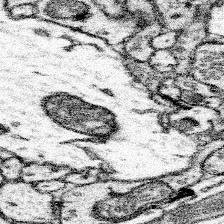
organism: Mouse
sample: Somatosensory cortex neuropil